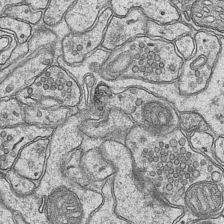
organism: Mouse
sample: CA1 Hippocampus